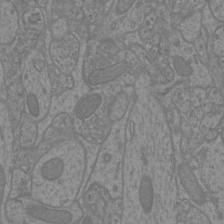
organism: Mouse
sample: Cortical neurons